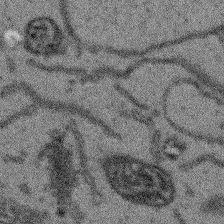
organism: Arabidopsis thaliana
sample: Root tip